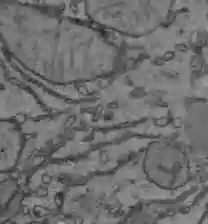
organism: C57BL Mouse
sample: Liver